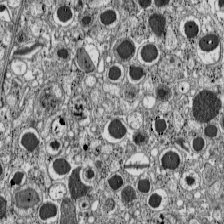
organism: C57BL Mouse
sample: Pancreatic islet